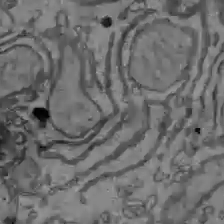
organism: C57BL Mouse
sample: Liver